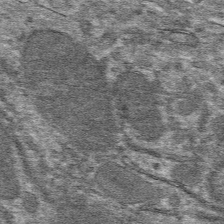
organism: Mouse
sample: Mouse hepatocytes